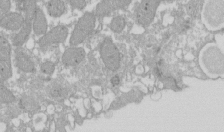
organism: Xenopus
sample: Cilia; centrioles in frog embryo cells